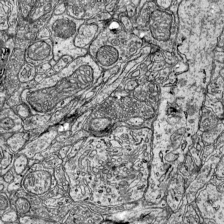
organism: Mouse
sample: Visual Cortex